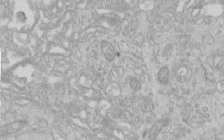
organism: Human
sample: Centriole in RPE cells